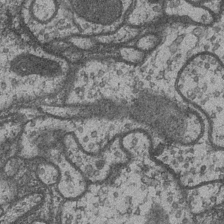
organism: Drosophila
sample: Optic medulla